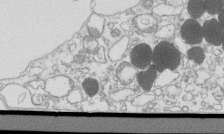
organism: Mouse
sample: Macrophages